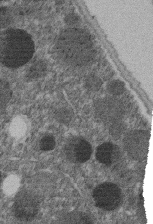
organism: C. elegans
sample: C. elegans embryo early stage